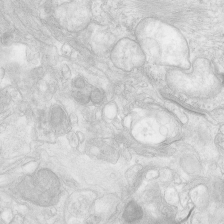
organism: Human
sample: Neocortex